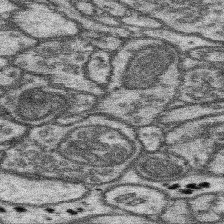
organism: Mouse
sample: Somatosensory cortex neuropil